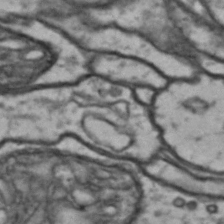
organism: Drosophila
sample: Brain